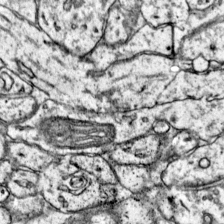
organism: Mouse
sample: Primary visual cortex